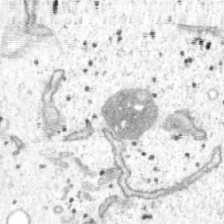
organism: Human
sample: HeLa cells